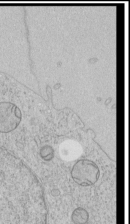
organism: Human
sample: Mitochondria in HCT116 cells